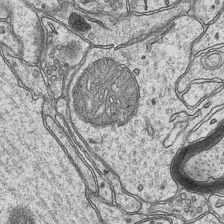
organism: Mouse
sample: CA1 Hippocampus